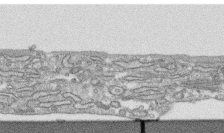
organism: Human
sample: CRL-1474